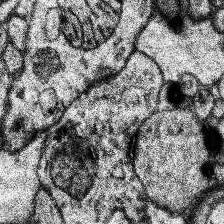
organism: Human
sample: Temporal Lobe